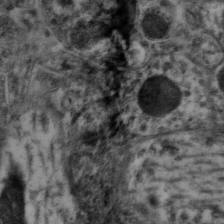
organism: Mouse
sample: Neocortex